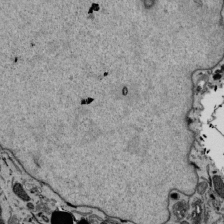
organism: Mouse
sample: ED-1 cell nuclei; centrioles